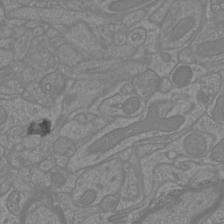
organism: Mouse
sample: Cortical neurons